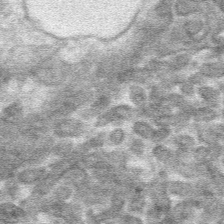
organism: Mouse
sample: Mouse hepatocytes